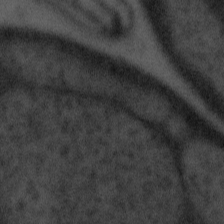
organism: Tuwongella immobilis